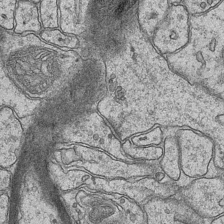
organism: Mouse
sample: CA1 Hippocampus